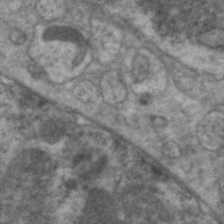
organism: C. elegans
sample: Pharynx